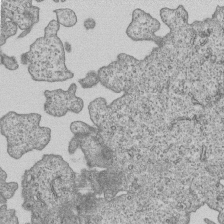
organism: Human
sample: MDA-MB-231 cells